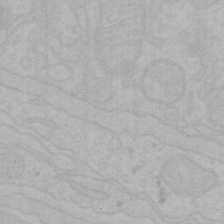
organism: Mouse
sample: Choroid plexus